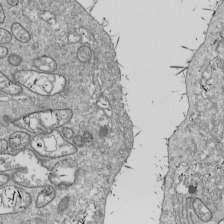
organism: Drosophila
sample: Cell division; meiosis; drosophila spermatocytes